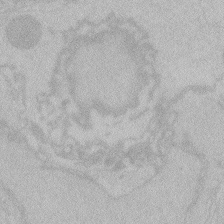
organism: Zebrafish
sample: Macrophage infected with Toxoplasma gondii